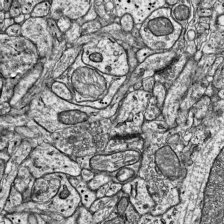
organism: Mouse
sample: Visual Cortex